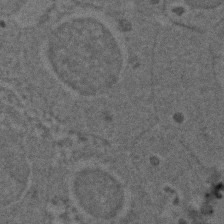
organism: Zebrafish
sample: Zebrafish embryo